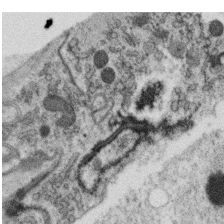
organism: C. elegans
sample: C. elegans oocyte; sperm cells